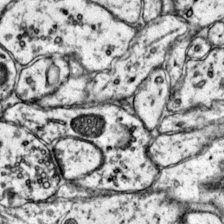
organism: Mouse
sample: Primary visual cortex